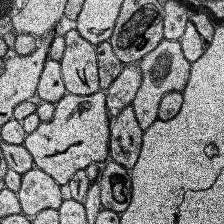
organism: Human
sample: Temporal Lobe